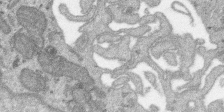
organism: Human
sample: Lung epithelial cells infected with SARS-CoV-2